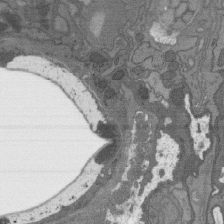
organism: C. elegans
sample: AFD neurons C. elegans